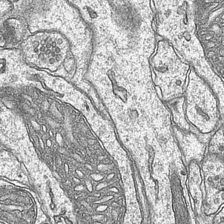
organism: Mouse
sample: CA1 Hippocampus